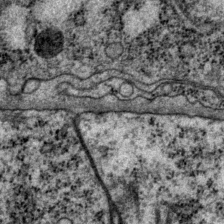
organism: P. pacificus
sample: Pharynx